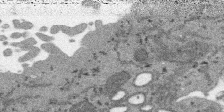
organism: Human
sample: Lung epithelial cells infected with SARS-CoV-2